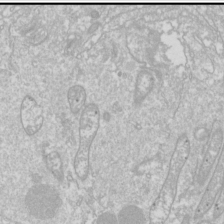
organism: Drosophila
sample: Cell division; meiosis; drosophila spermatocytes